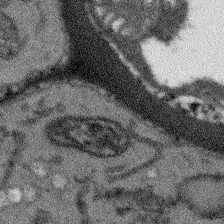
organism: Arabidopsis thaliana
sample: Root tip